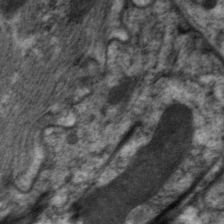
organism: C. elegans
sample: Pharynx